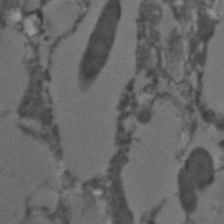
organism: C. elegans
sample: C. elegans embryo